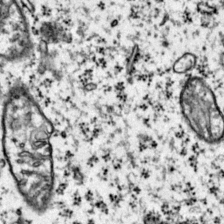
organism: Mouse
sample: Primary visual cortex